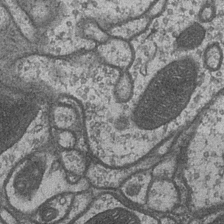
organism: Drosophila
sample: Optic medulla